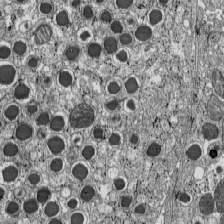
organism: C57BL Mouse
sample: Pancreatic islet